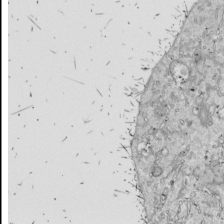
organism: Drosophila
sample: Cell division; meiosis; drosophila spermatocytes